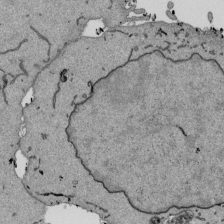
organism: Mouse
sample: ED-1 cell nuclei; centrioles